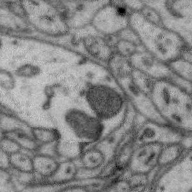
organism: Zebra finch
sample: Brain